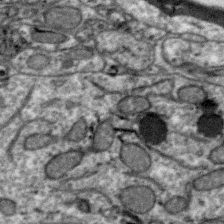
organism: Zebra finch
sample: Brain